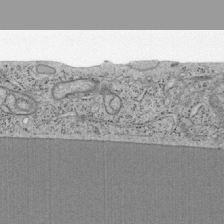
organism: Human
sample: HeLa cells